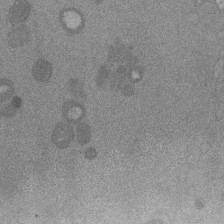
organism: Mouse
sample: Dividing mouse embryo 1 cell stage